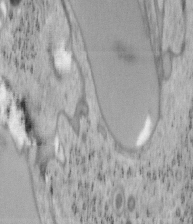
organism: Human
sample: HeLa cells